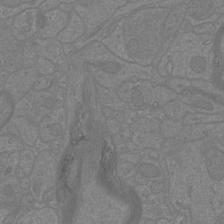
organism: Mouse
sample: Cortical neurons